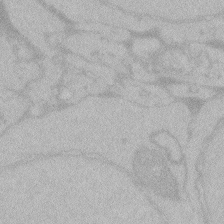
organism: Zebrafish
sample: Macrophage infected with Toxoplasma gondii